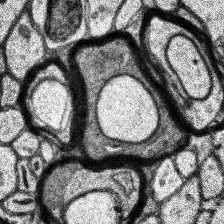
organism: Human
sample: Temporal Lobe